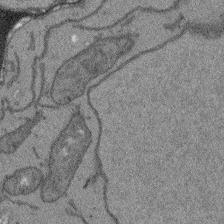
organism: Arabidopsis thaliana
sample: Root tip